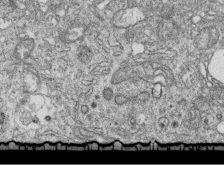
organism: Human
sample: HeLa cell HIV synapse